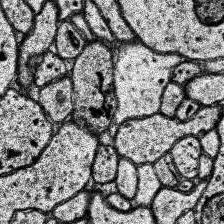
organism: Human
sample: Temporal Lobe